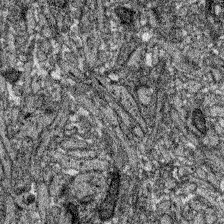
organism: Zebrafish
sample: Larval olfactory bulb